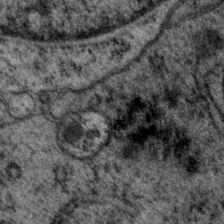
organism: P. pacificus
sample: Pharynx